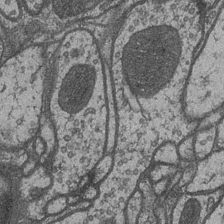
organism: Drosophila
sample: Optic medulla